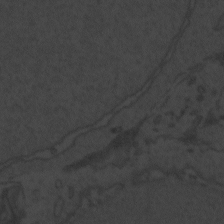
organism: Zebrafish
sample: Macrophage infected with Toxoplasma gondii